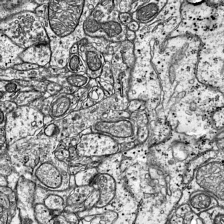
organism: Mouse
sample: Visual Cortex